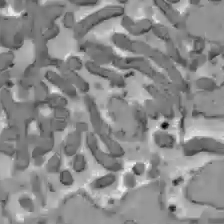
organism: C57BL Mouse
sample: Liver